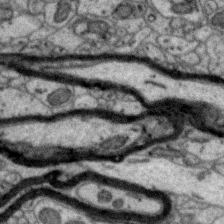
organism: Zebra finch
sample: Brain